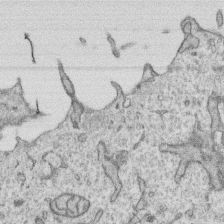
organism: Human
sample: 1205lu cells